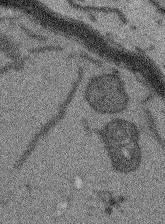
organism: Arabidopsis thaliana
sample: Root tip